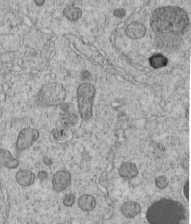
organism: C. elegans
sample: C. elegans embryo early stage